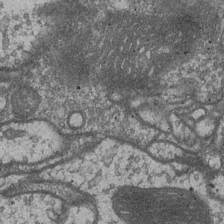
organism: Drosophila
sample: Optic medulla